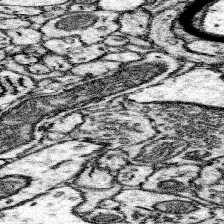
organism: Mouse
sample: Somatosensory cortex neuropil